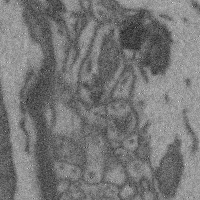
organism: Mouse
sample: Cerebral cortex